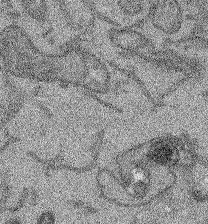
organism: Human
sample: HeLa cells